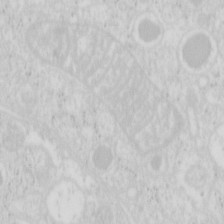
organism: Mouse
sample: Pancreas